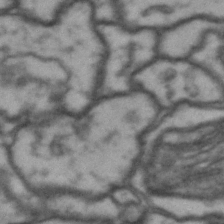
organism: Drosophila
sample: Brain